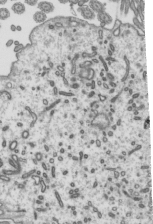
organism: Mouse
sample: Mouse epididymis efferent ductule cilia